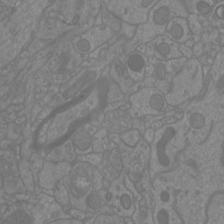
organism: Mouse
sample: Cortical neurons